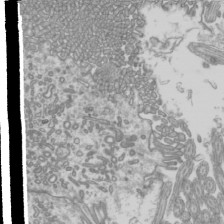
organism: Mouse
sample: Cilia; mouse epididymis